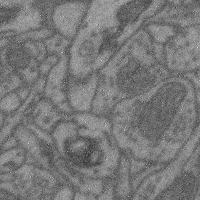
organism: Mouse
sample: Cerebral cortex